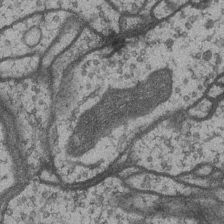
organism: Drosophila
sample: Optic medulla